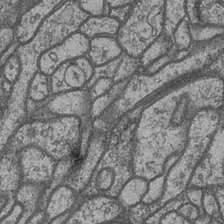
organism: Drosophila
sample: Optic medulla